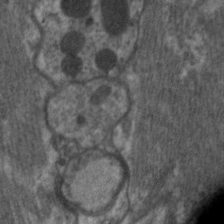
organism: C. elegans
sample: Pharynx